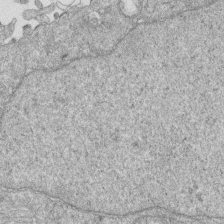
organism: Human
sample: HeLa cell HIV synapse